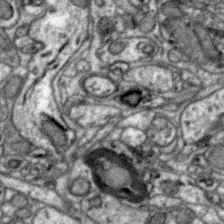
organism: Zebra finch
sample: Brain